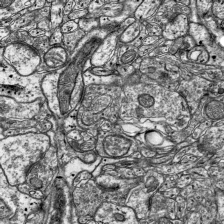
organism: Mouse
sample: Visual Cortex